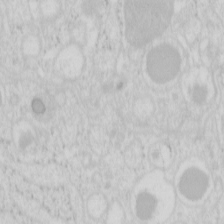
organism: Mouse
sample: Pancreas